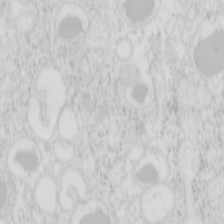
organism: Mouse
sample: Pancreas